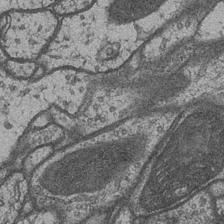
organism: Drosophila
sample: Optic medulla